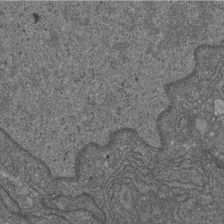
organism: Drosophila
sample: Nephrocyte